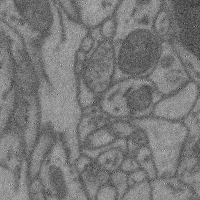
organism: Mouse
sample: Cerebral cortex